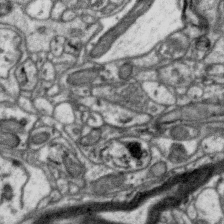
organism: Zebra finch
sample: Brain